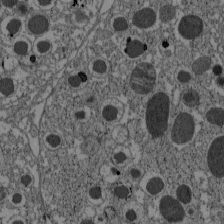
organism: C57BL Mouse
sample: Pancreatic islet